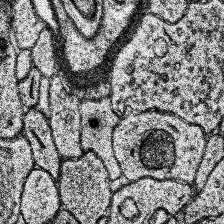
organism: Human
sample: Temporal Lobe